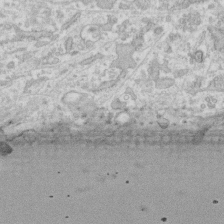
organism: Human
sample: Fibroblast cells